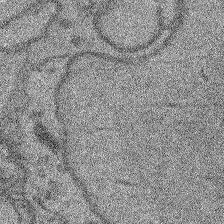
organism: Human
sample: HeLa cells